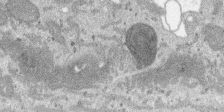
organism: Human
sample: Lung epithelial cells infected with SARS-CoV-2